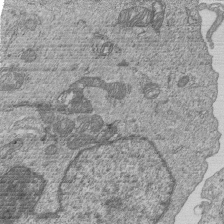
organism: Human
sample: MDA-MB-231 cells